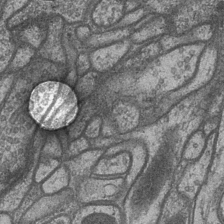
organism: Drosophila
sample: Optic medulla